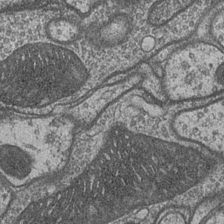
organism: Drosophila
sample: Optic medulla